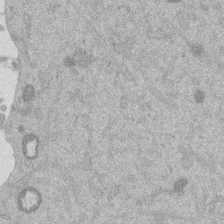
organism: Mouse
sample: Dividing mouse embryo 1 cell stage